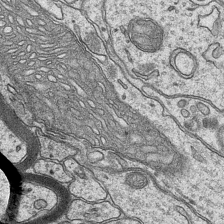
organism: Mouse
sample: CA1 Hippocampus